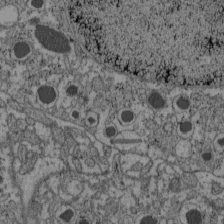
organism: C57BL Mouse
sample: Pancreatic islet